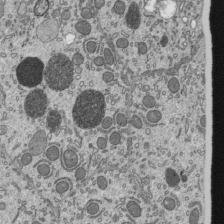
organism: Mouse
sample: Mouse epididymis efferent ductule cilia